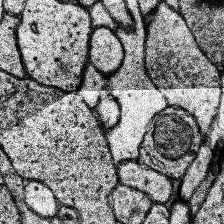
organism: Human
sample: Temporal Lobe